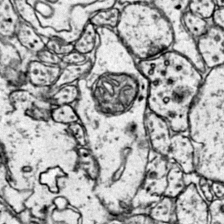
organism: Mouse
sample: Primary visual cortex